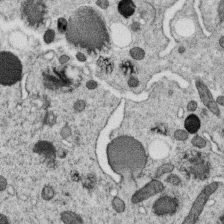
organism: C. elegans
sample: C. elegans oocyte; sperm cells